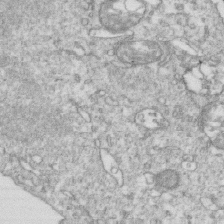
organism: Mouse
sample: Activated OT-1 CD8+ T cells